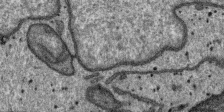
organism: Human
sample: Lung epithelial cells, uninfected (mock) control